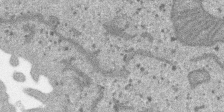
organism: Human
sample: Lung epithelial cells infected with SARS-CoV-2